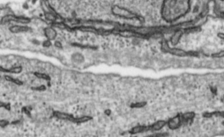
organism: Toxoplasma gondii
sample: Parasites in a vacuole inside a host cell